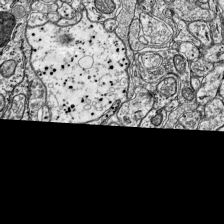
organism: Mouse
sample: Visual Cortex